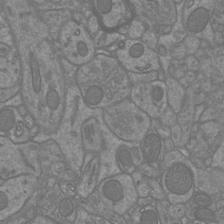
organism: Mouse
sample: Cortical neurons